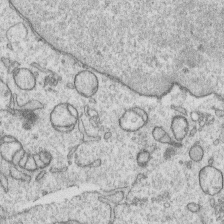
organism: Human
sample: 1205lu cells